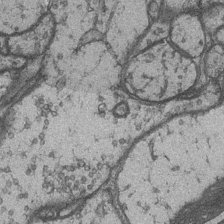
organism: Drosophila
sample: Optic medulla